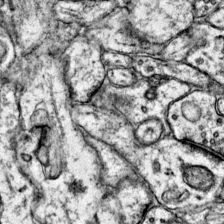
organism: Mouse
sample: Primary visual cortex